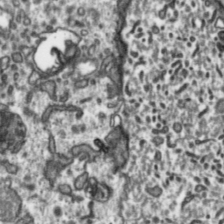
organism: Toxoplasma gondii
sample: Parasites in a vacuole inside a host cell